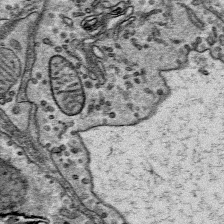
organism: Mouse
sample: Mouse Salivary gland